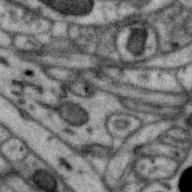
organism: Zebra finch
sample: Brain